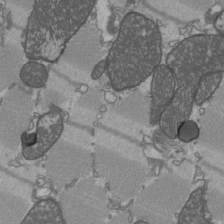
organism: C57BL Mouse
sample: Heart